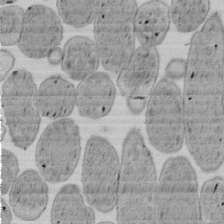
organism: E. coli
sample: Bacterial nucleoid